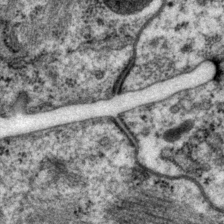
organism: P. pacificus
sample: Pharynx